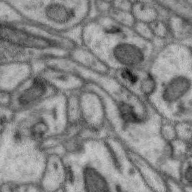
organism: Zebra finch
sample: Brain